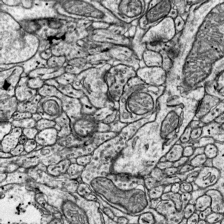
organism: Mouse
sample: Visual Cortex